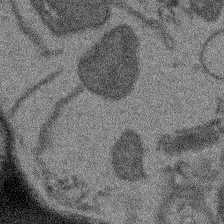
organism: Arabidopsis thaliana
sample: Root tip